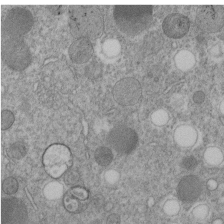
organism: C. elegans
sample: C. elegans embryo early stage